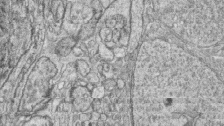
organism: Zebrafish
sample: synaptic ribbons in rod cells and cone cells